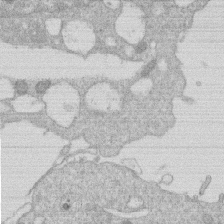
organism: Human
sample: Macrophage cells